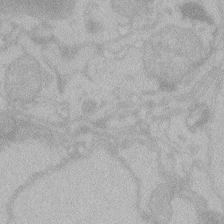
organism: Zebrafish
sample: Macrophage infected with Toxoplasma gondii